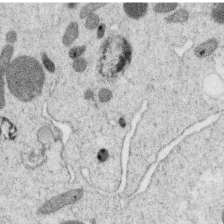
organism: C. elegans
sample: C. elegans oocyte; sperm cells